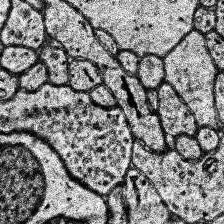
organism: Human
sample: Temporal Lobe